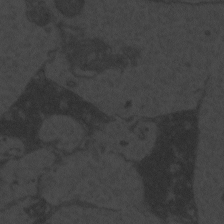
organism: Zebrafish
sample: Macrophage infected with Toxoplasma gondii